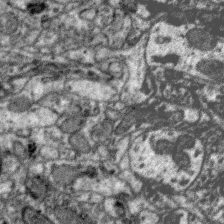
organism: Zebra finch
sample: Brain